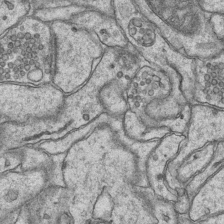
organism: Mouse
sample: CA1 Hippocampus